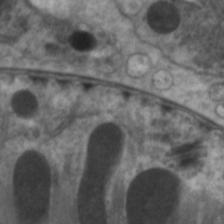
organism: C. elegans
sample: Pharynx